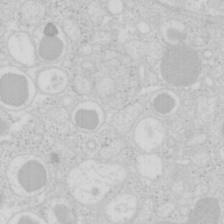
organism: Mouse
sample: Pancreas